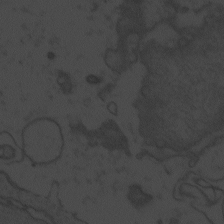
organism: Zebrafish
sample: Macrophage infected with Toxoplasma gondii